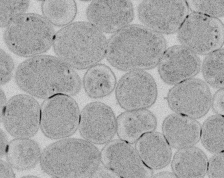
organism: E. coli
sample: Bacterial nucleoid